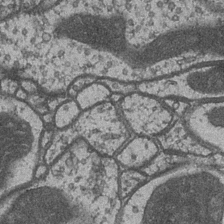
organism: Drosophila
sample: Optic medulla